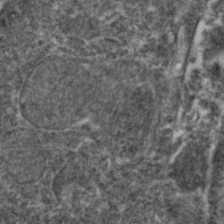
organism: Zebrafish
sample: Zebrafish embryo